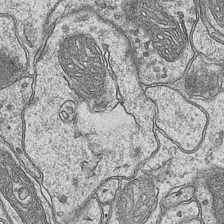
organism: Mouse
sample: CA1 Hippocampus